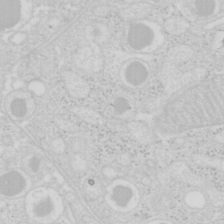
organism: Mouse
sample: Pancreas